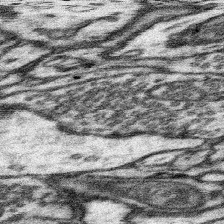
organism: Mouse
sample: Somatosensory cortex neuropil